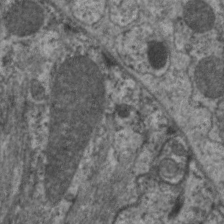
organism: C. elegans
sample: Pharynx